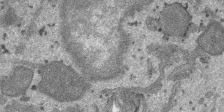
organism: Human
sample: Lung epithelial cells infected with SARS-CoV-2